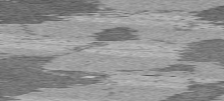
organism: C57BL Mouse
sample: Heart